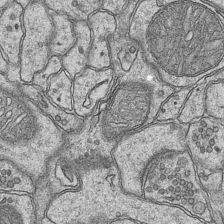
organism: Mouse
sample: CA1 Hippocampus